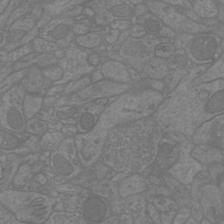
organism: Mouse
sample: Cortical neurons